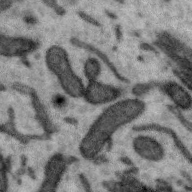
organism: Zebra finch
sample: Brain